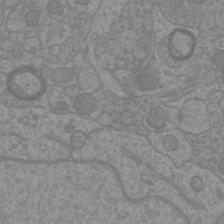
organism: Mouse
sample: Cortical neurons